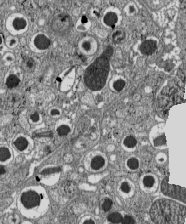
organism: C57BL Mouse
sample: Pancreatic islet